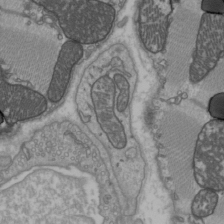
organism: C57BL Mouse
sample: Heart